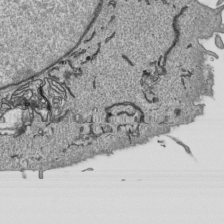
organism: Human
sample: Mitochondria in HCT116 cells